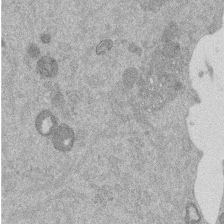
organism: Mouse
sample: Dividing mouse embryo 1 cell stage